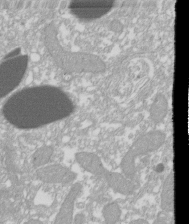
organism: Xenopus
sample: Cilia; centrioles in frog embryo cells